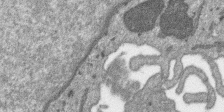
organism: Human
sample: Lung epithelial cells infected with SARS-CoV-2